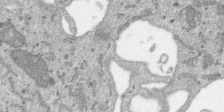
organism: Human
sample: Lung epithelial cells infected with SARS-CoV-2